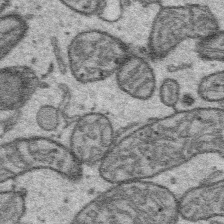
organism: Platynereis dumerilii